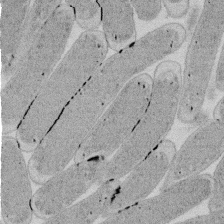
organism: E. coli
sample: Bacterial nucleoid